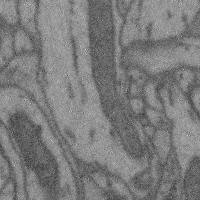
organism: Mouse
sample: Cerebral cortex